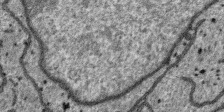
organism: Human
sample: Lung epithelial cells, uninfected (mock) control